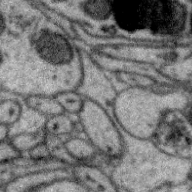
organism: Zebra finch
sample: Brain